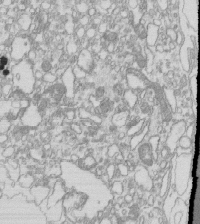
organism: Mouse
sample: Macrophages